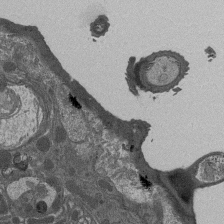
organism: Drosophila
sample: Antenna